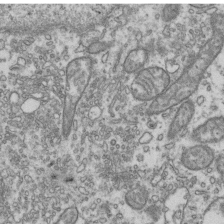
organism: Human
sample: Activated Jurkat CD4+ T cells